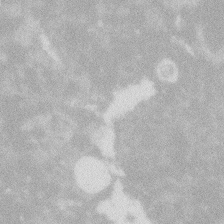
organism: Zebrafish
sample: Macrophage